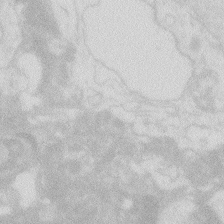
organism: Zebrafish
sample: Macrophage